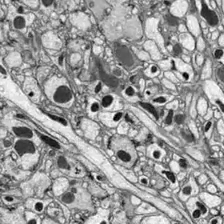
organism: Drosophila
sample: Optic lobe